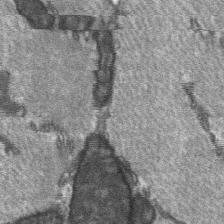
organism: C57BL Mouse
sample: Soleus